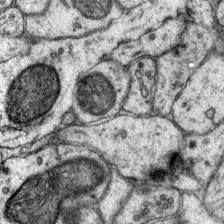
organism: Mouse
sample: Primary visual cortex